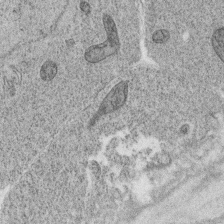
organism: C. elegans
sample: C. elegans oocyte; sperm cells